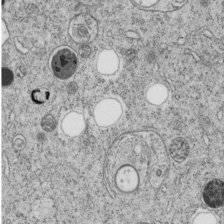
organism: C. elegans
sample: C. elegans embryo early stage